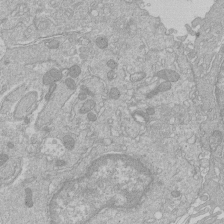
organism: Human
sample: Macrophage cells